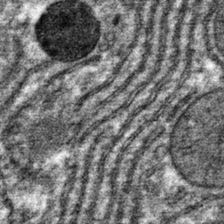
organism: Mouse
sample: Mouse hepatocytes